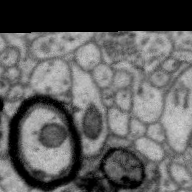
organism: Zebra finch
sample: Brain